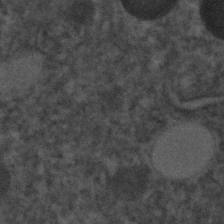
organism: C. elegans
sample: C. elegans embryo